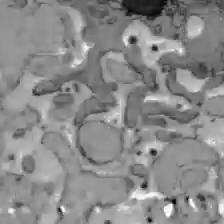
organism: C57BL Mouse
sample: Liver